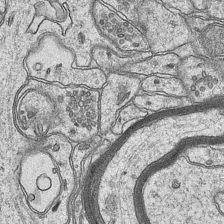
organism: Mouse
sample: CA1 Hippocampus